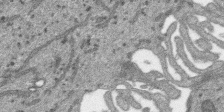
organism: Human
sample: Lung epithelial cells infected with SARS-CoV-2